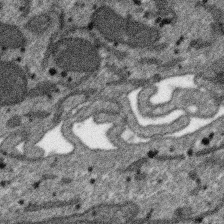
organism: Human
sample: Lung epithelial cells infected with SARS-CoV-2